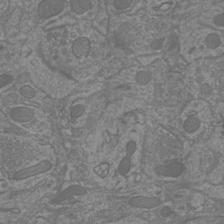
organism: Mouse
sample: Cortical neurons